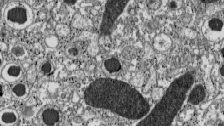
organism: C57BL Mouse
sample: Pancreatic islet